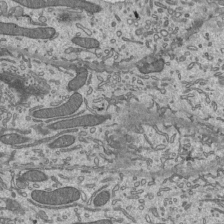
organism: Mouse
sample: Mouse epididymis efferent ductule cilia